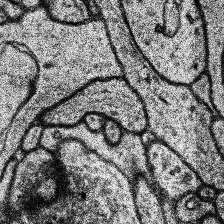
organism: Human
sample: Temporal Lobe